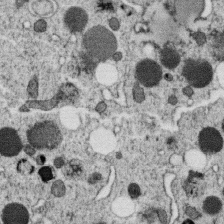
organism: C. elegans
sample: C. elegans oocyte; sperm cells